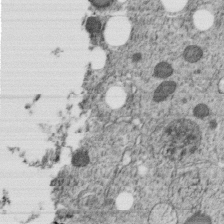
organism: C. elegans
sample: C. elegans embryo early stage